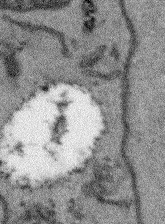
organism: Arabidopsis thaliana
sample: Root tip